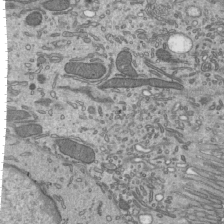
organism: Mouse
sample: Mouse epididymis efferent ductule cilia